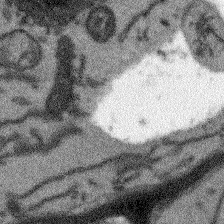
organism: Arabidopsis thaliana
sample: Root tip